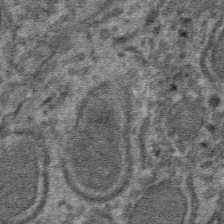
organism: Mouse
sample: Mouse hepatocytes